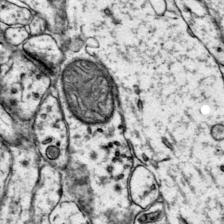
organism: Mouse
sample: Primary visual cortex